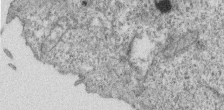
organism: Human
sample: HeLa cell HIV synapse